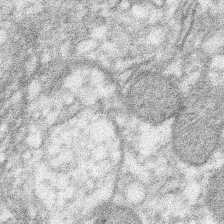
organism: Xenopus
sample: Cilia; centrioles in frog embryo cells